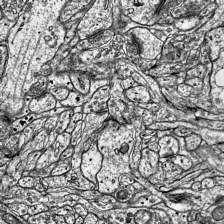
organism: Mouse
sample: Visual Cortex